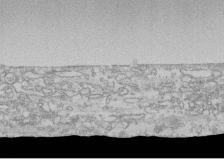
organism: Human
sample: CRL-1474